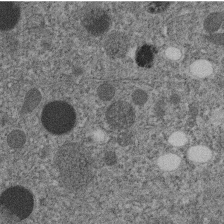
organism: C. elegans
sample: C. elegans embryo early stage